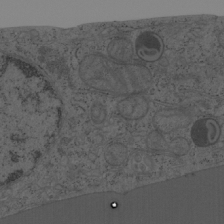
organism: Human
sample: HeLa cells